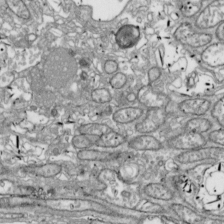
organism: Drosophila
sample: Cell division; meiosis; drosophila spermatocytes